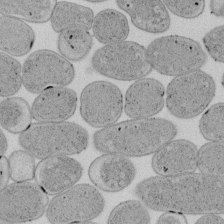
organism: E. coli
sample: Bacterial nucleoid